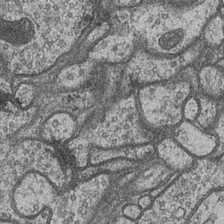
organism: Drosophila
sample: Optic medulla